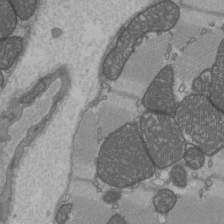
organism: C57BL Mouse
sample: Heart